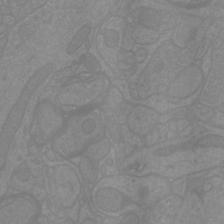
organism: Mouse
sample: Cortical neurons